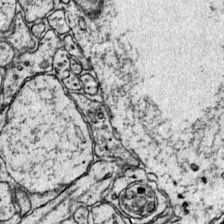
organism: Mouse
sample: Primary visual cortex